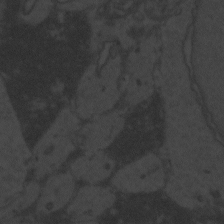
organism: Zebrafish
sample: Macrophage infected with Toxoplasma gondii